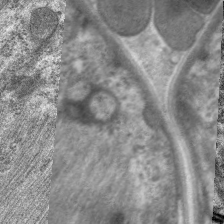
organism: C. elegans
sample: Pharynx